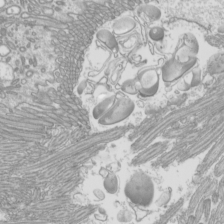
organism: Mouse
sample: Cilia; mouse epididymis